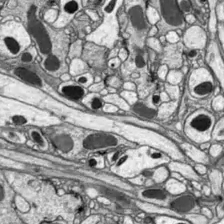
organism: Drosophila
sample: Optic lobe